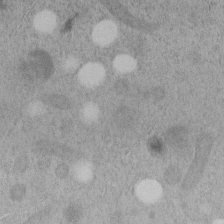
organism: C. elegans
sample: C. elegans embryo early stage